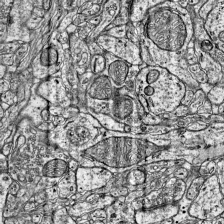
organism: Mouse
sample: Visual Cortex